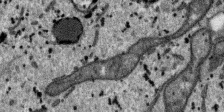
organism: Human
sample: Lung epithelial cells, uninfected (mock) control